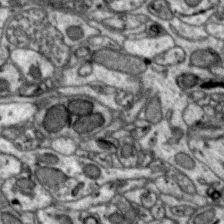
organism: Zebra finch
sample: Brain